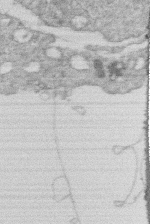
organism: Human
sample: Macrophage cells